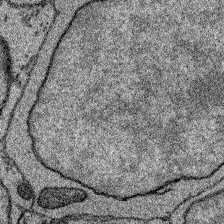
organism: Zebrafish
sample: Larval olfactory bulb